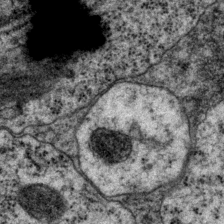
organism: P. pacificus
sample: Pharynx